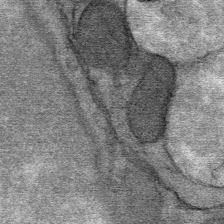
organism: Mouse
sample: Mouse Salivary gland